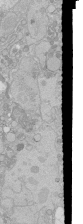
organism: Human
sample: Caco-2 cells